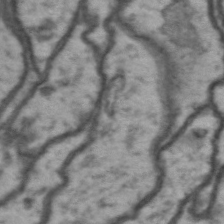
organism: Drosophila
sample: Brain